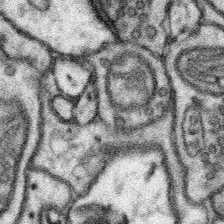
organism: Mouse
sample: Somatosensory cortex neuropil